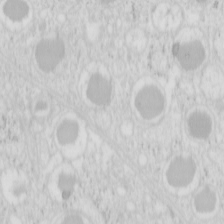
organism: Mouse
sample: Pancreas